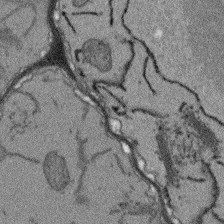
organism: Arabidopsis thaliana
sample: Root tip